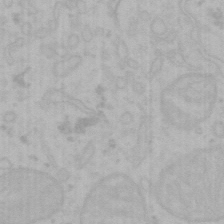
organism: Mouse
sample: Choroid plexus